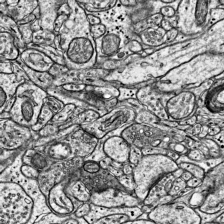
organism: Mouse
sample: Visual Cortex